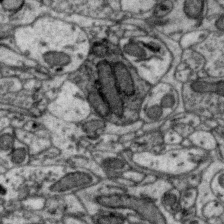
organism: Zebra finch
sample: Brain